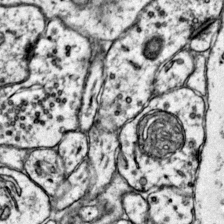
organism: Mouse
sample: Primary visual cortex